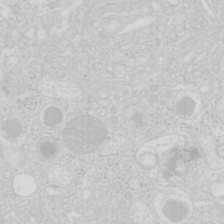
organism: Mouse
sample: Pancreas